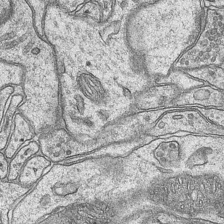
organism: Mouse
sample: CA1 Hippocampus